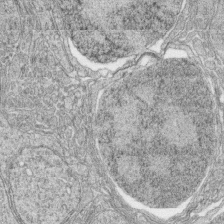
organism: Zebrafish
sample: synaptic ribbons in rod cells and cone cells